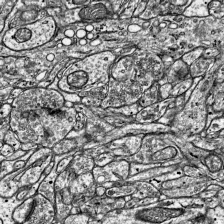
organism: Mouse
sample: Visual Cortex